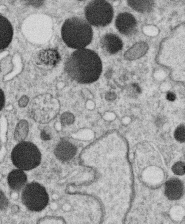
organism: C. elegans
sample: C. elegans oocyte; sperm cells